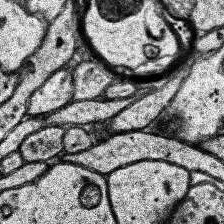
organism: Human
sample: Temporal Lobe